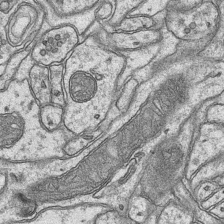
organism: Mouse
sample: CA1 Hippocampus